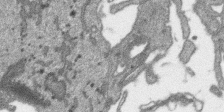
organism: Human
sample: Lung epithelial cells infected with SARS-CoV-2